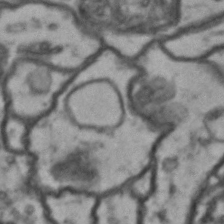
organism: Drosophila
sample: Brain